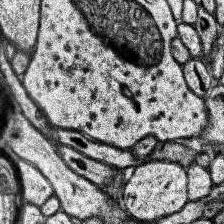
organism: Human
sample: Temporal Lobe